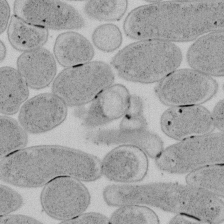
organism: E. coli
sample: Bacterial nucleoid